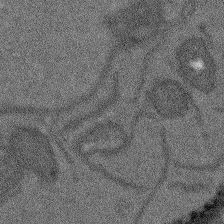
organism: Arabidopsis thaliana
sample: Root tip